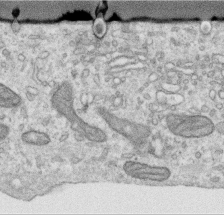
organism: Human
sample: Centriole in RPE cells